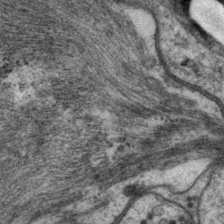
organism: P. pacificus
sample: Pharynx